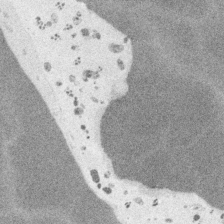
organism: Embia sp.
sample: Silk gland